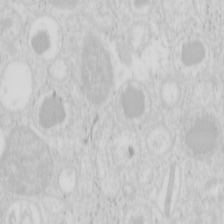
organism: Mouse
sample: Pancreas